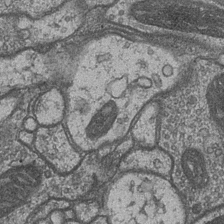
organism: Drosophila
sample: Optic medulla